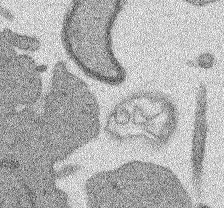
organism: Human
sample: HeLa cells